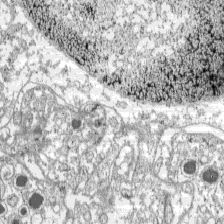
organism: C57BL Mouse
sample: Pancreatic islet